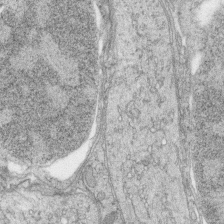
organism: Zebrafish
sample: synaptic ribbons in rod cells and cone cells